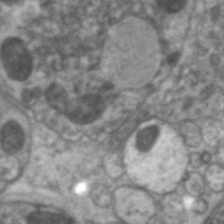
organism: C. elegans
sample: Pharynx